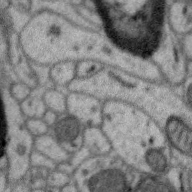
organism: Zebra finch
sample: Brain